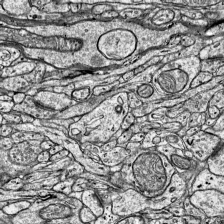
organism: Mouse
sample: Visual Cortex